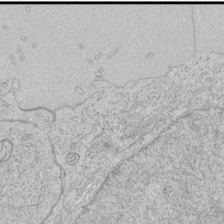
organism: Human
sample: Mitochondria in HCT116 cells